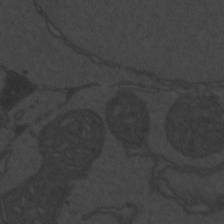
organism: Zebrafish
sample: Macrophage infected with Toxoplasma gondii